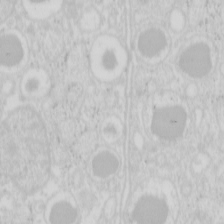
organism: Mouse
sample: Pancreas